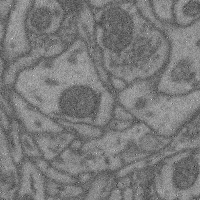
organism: Mouse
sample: Cerebral cortex